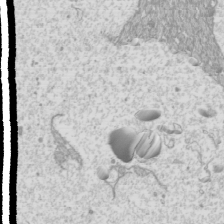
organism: Mouse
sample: Cilia; mouse epididymis